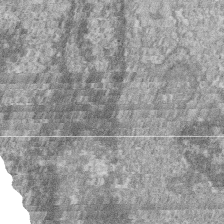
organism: Zebrafish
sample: Cilia; retinal pigment epithelium